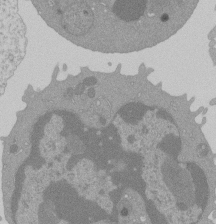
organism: Mouse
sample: Activated Pmel transgenic CD8+ T Cells